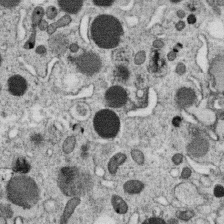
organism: C. elegans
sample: C. elegans oocyte; sperm cells